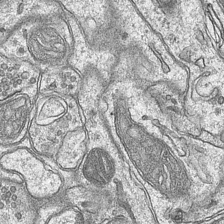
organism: Mouse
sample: CA1 Hippocampus